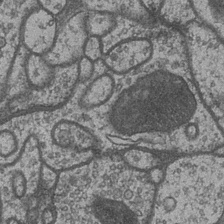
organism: Drosophila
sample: Optic medulla